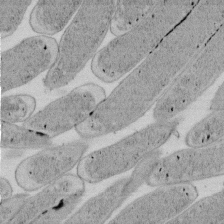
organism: E. coli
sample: Bacterial nucleoid